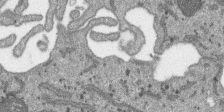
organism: Human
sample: Lung epithelial cells infected with SARS-CoV-2